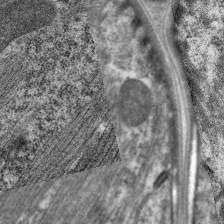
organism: C. elegans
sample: Pharynx